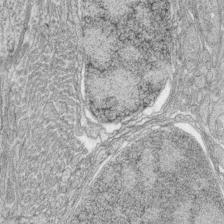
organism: Zebrafish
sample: synaptic ribbons in rod cells and cone cells